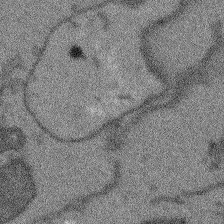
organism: Arabidopsis thaliana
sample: Root tip